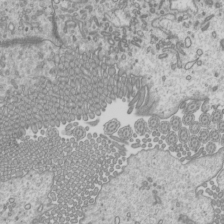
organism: Mouse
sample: Cilia; mouse epididymis